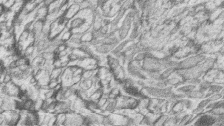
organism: Zebrafish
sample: synaptic ribbons in rod cells and cone cells